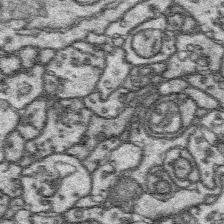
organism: Platynereis dumerilii